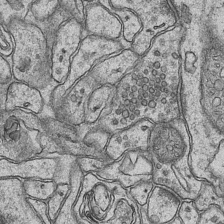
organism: Mouse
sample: CA1 Hippocampus